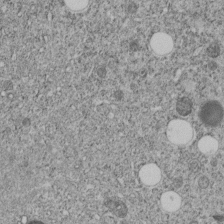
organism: C. elegans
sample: C. elegans embryo early stage